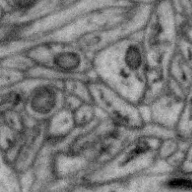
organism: Zebra finch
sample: Brain